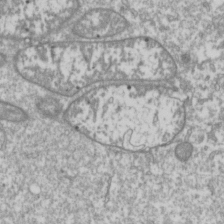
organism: Drosophila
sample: Cell division; meiosis; drosophila spermatocytes